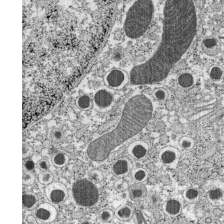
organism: C57BL Mouse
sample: Pancreatic islet